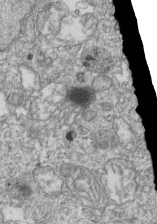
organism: Human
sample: HeLa cell HIV synapse